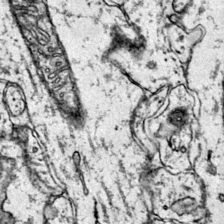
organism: Mouse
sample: Primary visual cortex